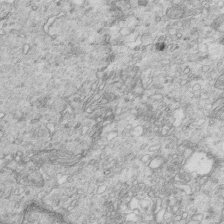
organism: Mouse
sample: Multiciliated cells